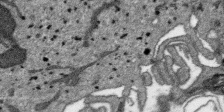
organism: Human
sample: Lung epithelial cells, uninfected (mock) control